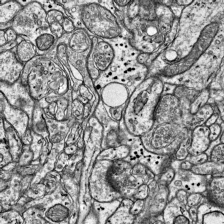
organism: Mouse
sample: Visual Cortex